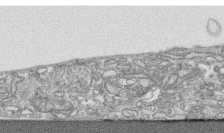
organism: Human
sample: CRL-1474